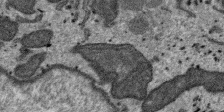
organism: Human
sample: Lung epithelial cells, uninfected (mock) control